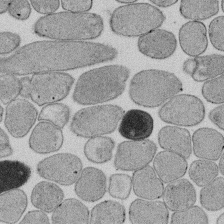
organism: E. coli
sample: Bacterial nucleoid